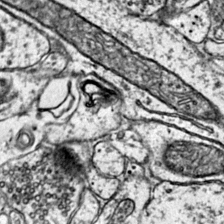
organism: Mouse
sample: Primary visual cortex